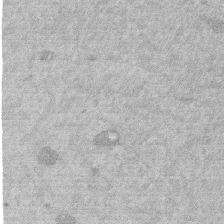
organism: Mouse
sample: Dividing mouse embryo 1 cell stage